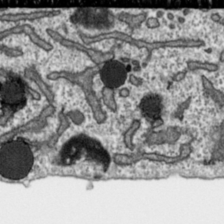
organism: Toxoplasma gondii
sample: Parasites in a vacuole inside a host cell